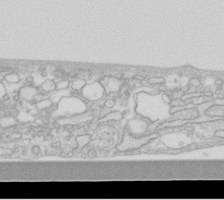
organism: Human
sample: Fibroblast cells